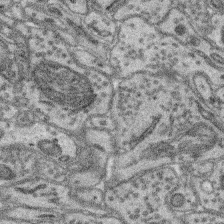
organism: Mouse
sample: Retina